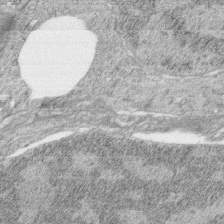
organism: Zebrafish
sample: synaptic ribbons in rod cells and cone cells